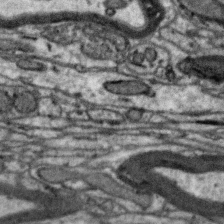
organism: Zebra finch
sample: Brain